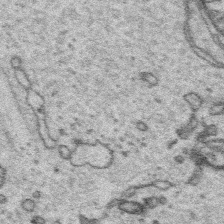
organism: Platynereis dumerilii